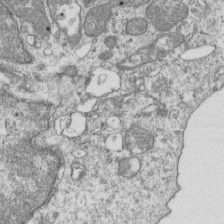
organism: Mouse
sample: Activated OT-1 CD8+ T cells